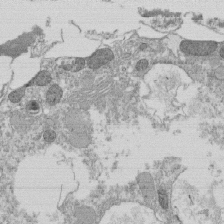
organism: Tetrahymena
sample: Cilia in tetrahymena